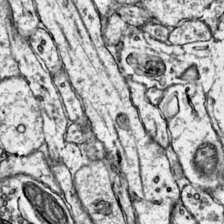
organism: Mouse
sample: Primary visual cortex